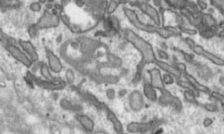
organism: Toxoplasma gondii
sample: Parasites in a vacuole inside a host cell